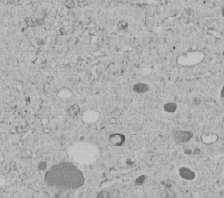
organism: C. elegans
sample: C. elegans embryo early stage